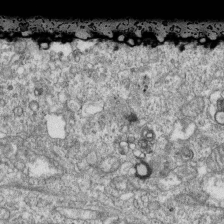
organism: Human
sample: HeLa cell HIV synapse